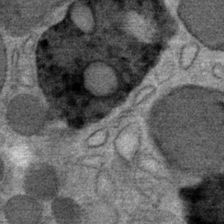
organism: Mouse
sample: Mouse Salivary gland